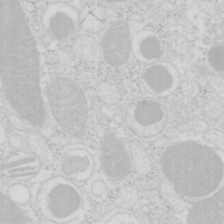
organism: Mouse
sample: Pancreas